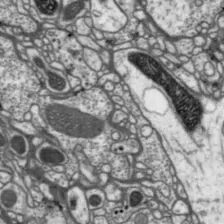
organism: Drosophila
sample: Protocerebral bridge